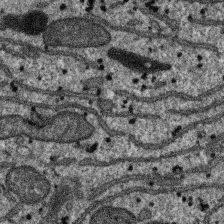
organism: Human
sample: Lung epithelial cells infected with SARS-CoV-2